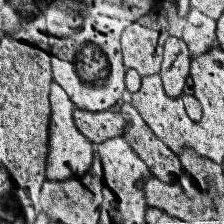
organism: Human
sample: Temporal Lobe